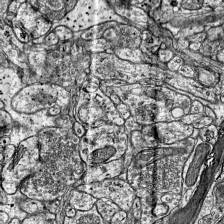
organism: Mouse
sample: Visual Cortex